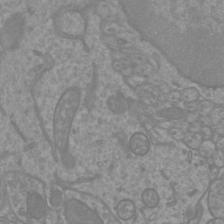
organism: Mouse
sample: Cortical neurons